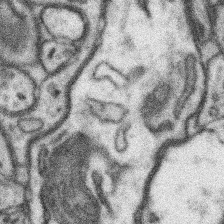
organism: Mouse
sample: Somatosensory cortex neuropil